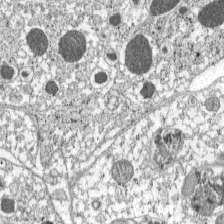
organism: C57BL Mouse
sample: Pancreatic islet